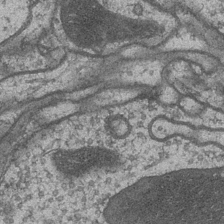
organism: Drosophila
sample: Optic medulla